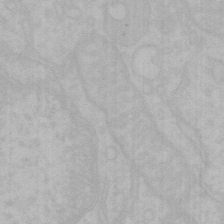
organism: Mouse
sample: Choroid plexus